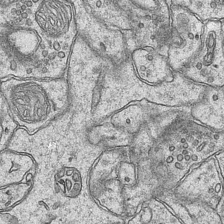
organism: Mouse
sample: CA1 Hippocampus